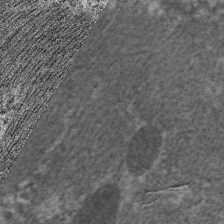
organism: C. elegans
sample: Pharynx